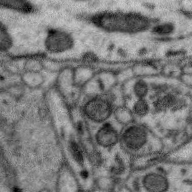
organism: Zebra finch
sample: Brain